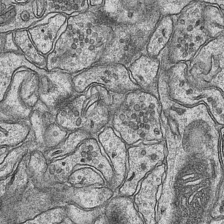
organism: Mouse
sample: CA1 Hippocampus